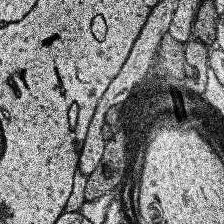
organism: Human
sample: Temporal Lobe